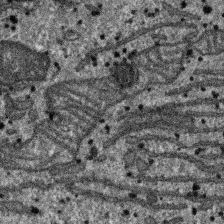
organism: Human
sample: Lung epithelial cells infected with SARS-CoV-2